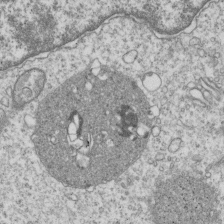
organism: Human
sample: MDA-MB-231 cells